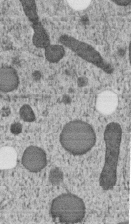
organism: C. elegans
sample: C. elegans embryo early stage